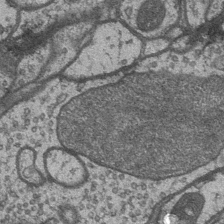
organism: Drosophila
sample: Optic medulla